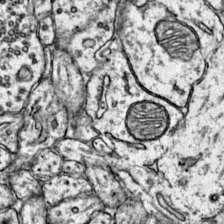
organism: Mouse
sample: Primary visual cortex